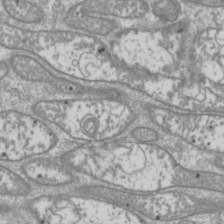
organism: Drosophila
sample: Cell division; meiosis; drosophila spermatocytes